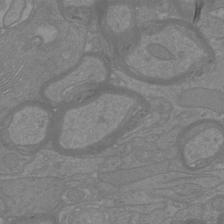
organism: Mouse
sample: Cortical neurons